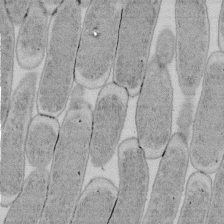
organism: E. coli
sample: Bacterial nucleoid